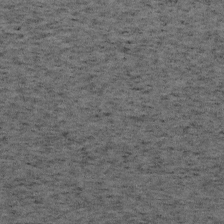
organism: Mouse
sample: OT-I killer T cells with ID8 ovarian cancer cells